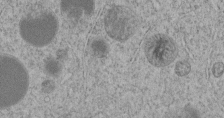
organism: C. elegans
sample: C. elegans embryo early stage